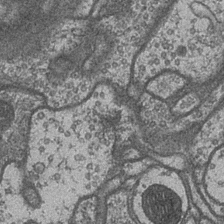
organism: Drosophila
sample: Optic medulla